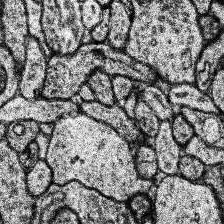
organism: Human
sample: Temporal Lobe